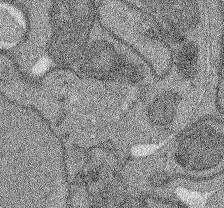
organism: Human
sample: HeLa cells